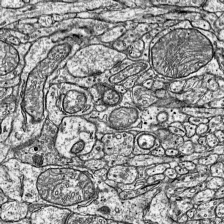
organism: Mouse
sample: Visual Cortex